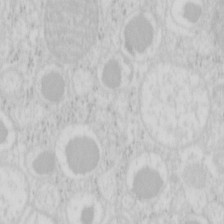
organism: Mouse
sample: Pancreas